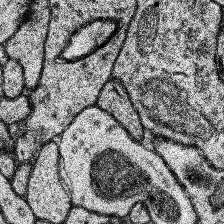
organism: Human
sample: Temporal Lobe